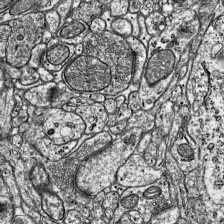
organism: Mouse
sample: Visual Cortex